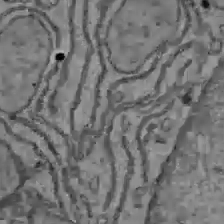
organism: C57BL Mouse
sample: Liver